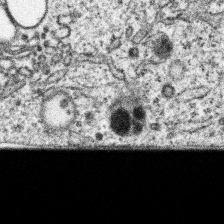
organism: Human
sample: HeLa cells